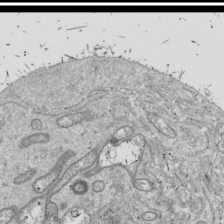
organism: Drosophila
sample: Cell division; meiosis; drosophila spermatocytes